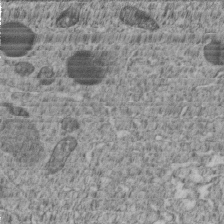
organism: C. elegans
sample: C. elegans embryo early stage